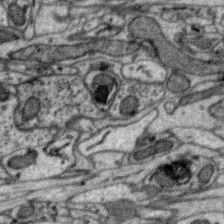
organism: Zebra finch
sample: Brain